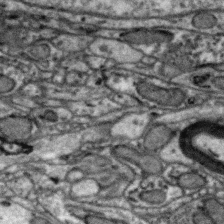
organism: Zebra finch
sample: Brain